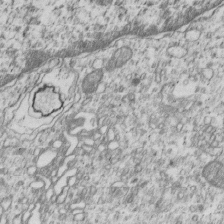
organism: Human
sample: MDA-MB-231 cells